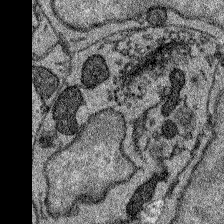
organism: Zebrafish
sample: Larval olfactory bulb